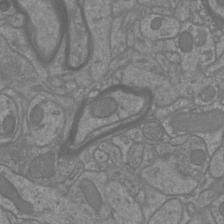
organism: Mouse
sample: Cortical neurons